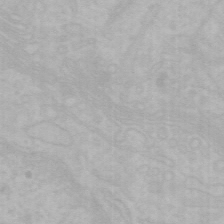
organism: Mouse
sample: Choroid plexus